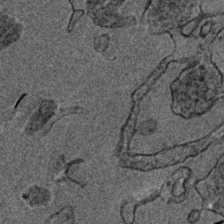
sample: Trachea